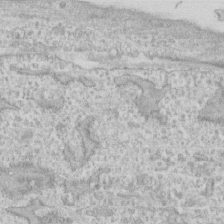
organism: Human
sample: CRL-1474